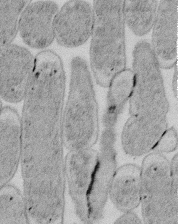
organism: E. coli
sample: Bacterial nucleoid